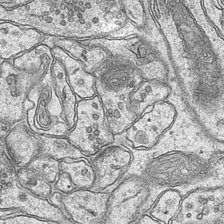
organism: Mouse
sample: CA1 Hippocampus